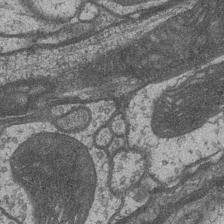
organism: Drosophila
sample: Optic medulla